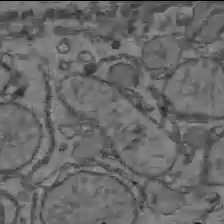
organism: C57BL Mouse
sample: Liver